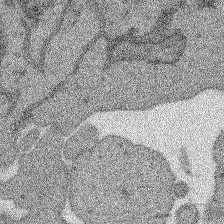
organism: Human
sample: HeLa cells